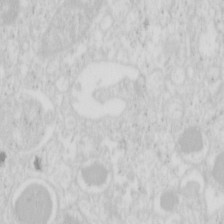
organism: Mouse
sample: Pancreas